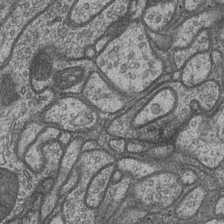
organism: Drosophila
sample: Optic medulla